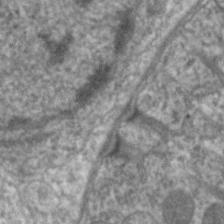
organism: C. elegans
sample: Pharynx